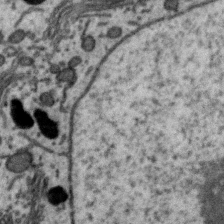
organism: Zebra finch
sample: Brain